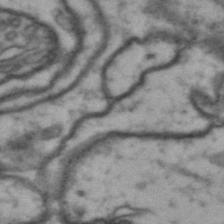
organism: Drosophila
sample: Brain